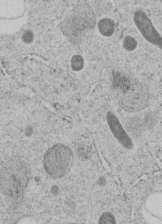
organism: C. elegans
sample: C. elegans embryo early stage